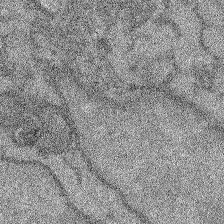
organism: Human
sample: HeLa cells